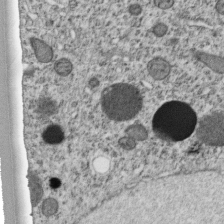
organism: C. elegans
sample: C. elegans embryo early stage